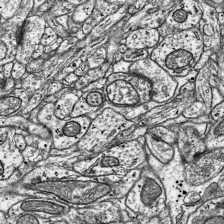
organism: Mouse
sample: Visual Cortex